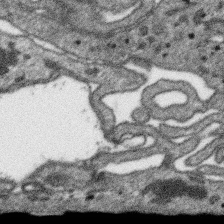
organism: Human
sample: Lung epithelial cells infected with SARS-CoV-2